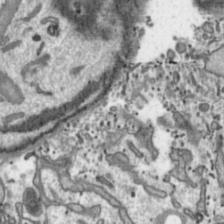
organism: Toxoplasma gondii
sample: Parasites in a vacuole inside a host cell